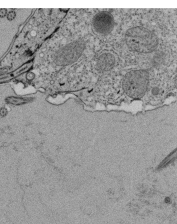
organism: Tetrahymena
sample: Cilia in tetrahymena